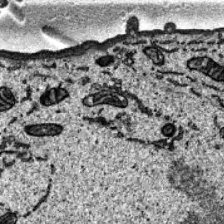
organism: Human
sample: HeLa cells